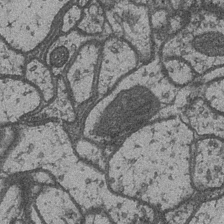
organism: Drosophila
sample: Optic medulla